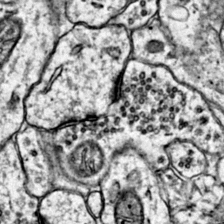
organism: Mouse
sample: Primary visual cortex